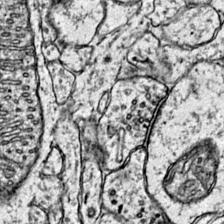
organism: Mouse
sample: Primary visual cortex